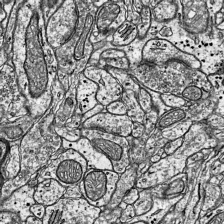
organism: Mouse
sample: Visual Cortex